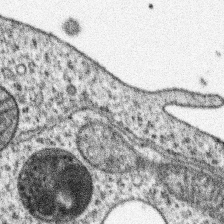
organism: Human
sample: HeLa cells